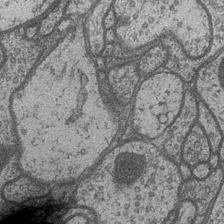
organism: Drosophila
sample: Optic medulla